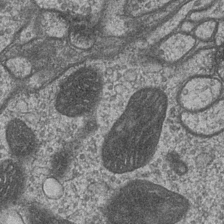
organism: Drosophila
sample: Optic medulla